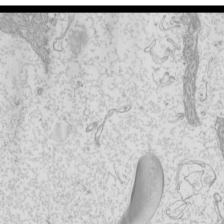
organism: Mouse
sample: Cilia; mouse epididymis